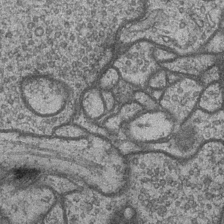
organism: Drosophila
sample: Optic medulla